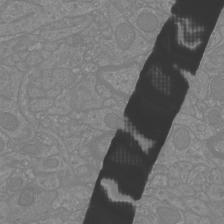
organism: Mouse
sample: Cortical neurons